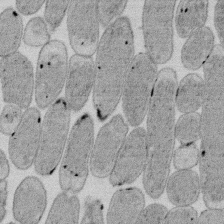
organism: E. coli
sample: Bacterial nucleoid